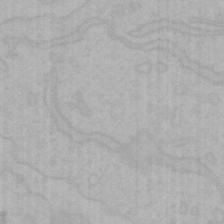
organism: Mouse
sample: Choroid plexus